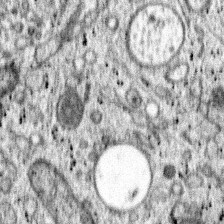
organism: Human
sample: HeLa cells